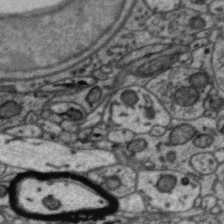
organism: Zebra finch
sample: Brain